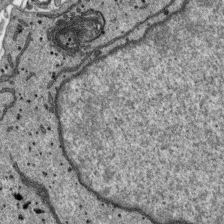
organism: Human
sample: Lung epithelial cells, uninfected (mock) control